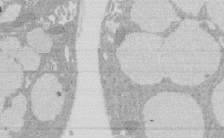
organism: Rat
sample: Salivary granule